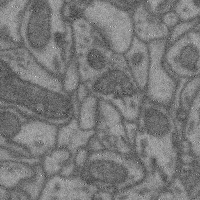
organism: Mouse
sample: Cerebral cortex